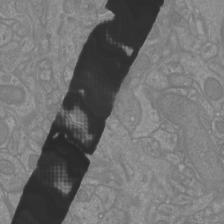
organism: Mouse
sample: Cortical neurons